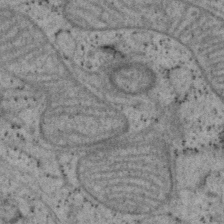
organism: Human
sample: HeLa cells